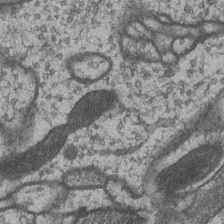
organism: Drosophila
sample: Optic medulla